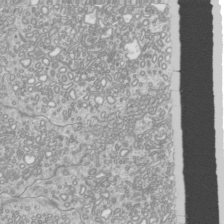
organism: Mouse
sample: Cilia; mouse epididymis